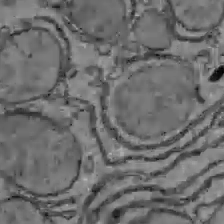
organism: C57BL Mouse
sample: Liver